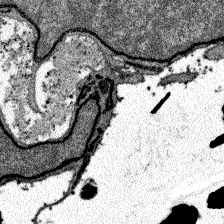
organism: Zebrafish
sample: Larval olfactory bulb